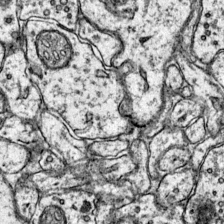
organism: Mouse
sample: Primary visual cortex